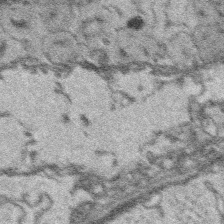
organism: Platynereis dumerilii